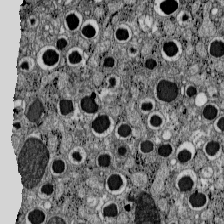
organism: C57BL Mouse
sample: Pancreatic islet